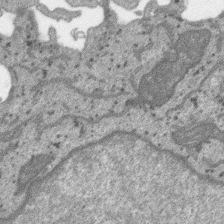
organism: Human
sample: Lung epithelial cells infected with SARS-CoV-2